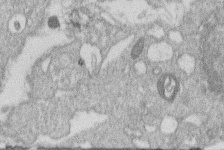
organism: Human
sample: Macrophage cells